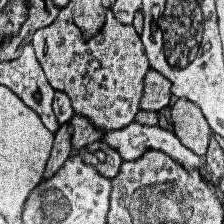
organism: Human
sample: Temporal Lobe